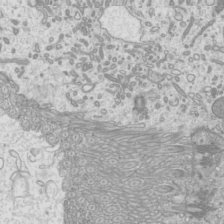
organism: Mouse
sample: Cilia; mouse epididymis